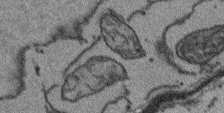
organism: Arabidopsis thaliana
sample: Root tip